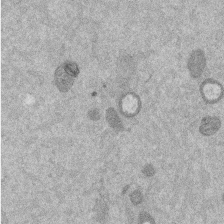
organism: Mouse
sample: Dividing mouse embryo 1 cell stage